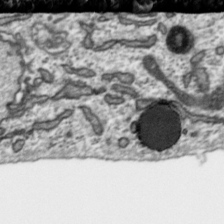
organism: Toxoplasma gondii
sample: Parasites in a vacuole inside a host cell